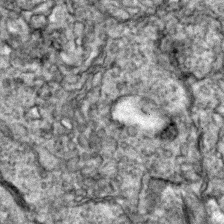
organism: Zebrafish